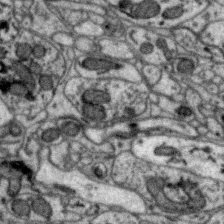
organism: Zebra finch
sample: Brain